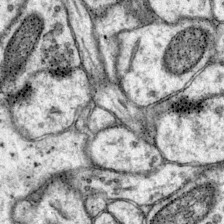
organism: Mouse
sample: Primary visual cortex